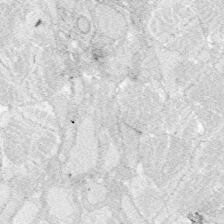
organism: Zebrafish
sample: Whole-Brain